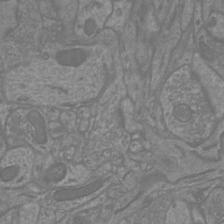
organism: Mouse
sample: Cortical neurons